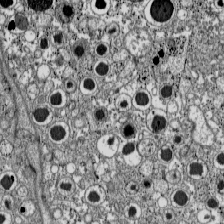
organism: C57BL Mouse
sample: Pancreatic islet